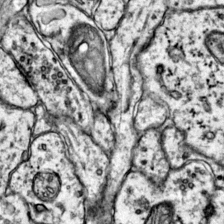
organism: Mouse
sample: Primary visual cortex